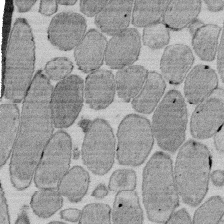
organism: E. coli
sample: Bacterial nucleoid